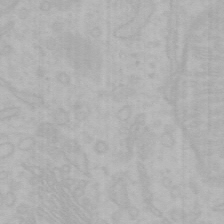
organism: Mouse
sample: Choroid plexus